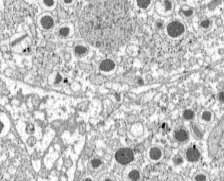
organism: C57BL Mouse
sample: Pancreatic islet